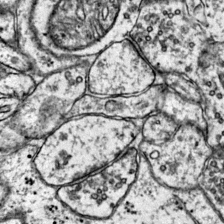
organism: Mouse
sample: Primary visual cortex